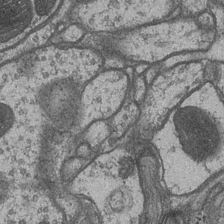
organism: Drosophila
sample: Optic medulla